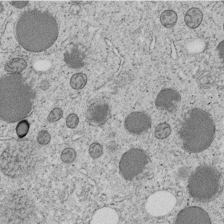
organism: C. elegans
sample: C. elegans embryo early stage